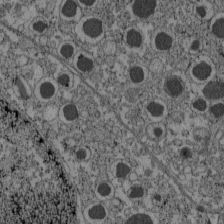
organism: C57BL Mouse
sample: Pancreatic islet